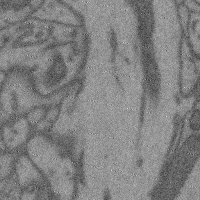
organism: Mouse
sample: Cerebral cortex